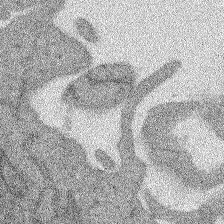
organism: Human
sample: HeLa cells